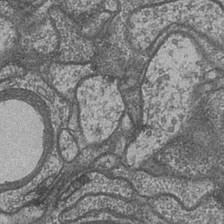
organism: Drosophila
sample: Optic medulla